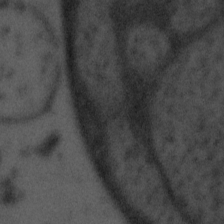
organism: Tuwongella immobilis